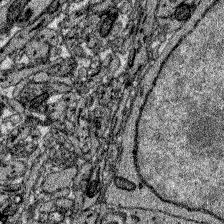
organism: Zebrafish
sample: Larval olfactory bulb